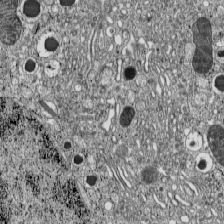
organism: C57BL Mouse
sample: Pancreatic islet